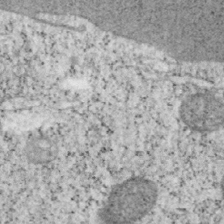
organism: Mouse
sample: OT-I killer T cells with ID8 ovarian cancer cells